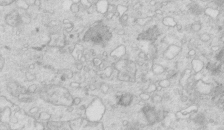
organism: Mouse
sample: Multiciliated cells